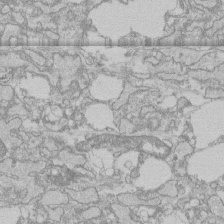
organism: Human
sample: CRL-1474